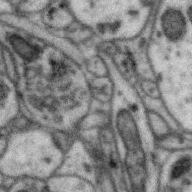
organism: Zebra finch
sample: Brain